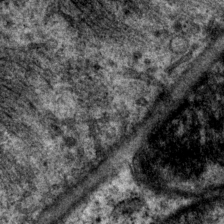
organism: P. pacificus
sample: Pharynx